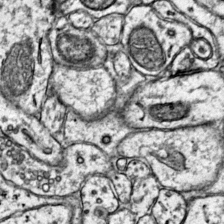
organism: Mouse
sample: Primary visual cortex